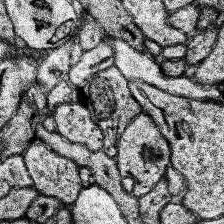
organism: Human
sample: Temporal Lobe